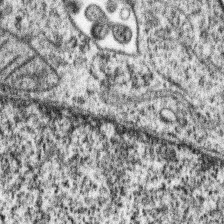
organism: Human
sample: HeLa cells